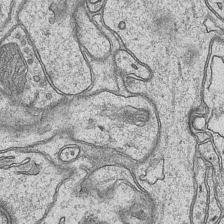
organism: Mouse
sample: CA1 Hippocampus